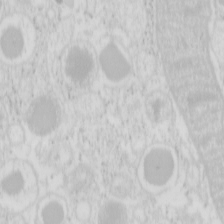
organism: Mouse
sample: Pancreas